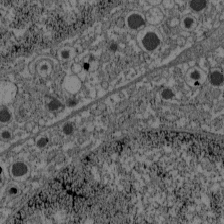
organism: C57BL Mouse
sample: Pancreatic islet